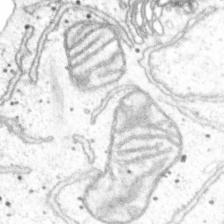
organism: Human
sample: HeLa cells